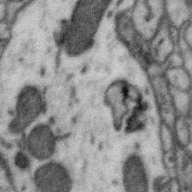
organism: Zebra finch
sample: Brain